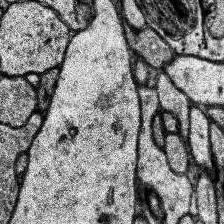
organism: Human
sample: Temporal Lobe